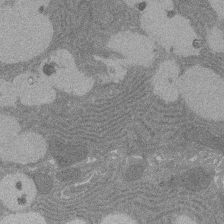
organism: Rat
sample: Salivary granule